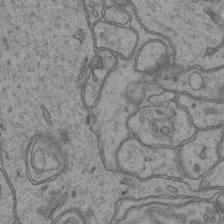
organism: Mouse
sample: CA1 Hippocampus